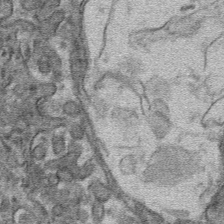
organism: Mouse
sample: Mouse hepatocytes